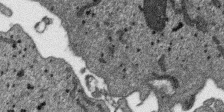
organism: Human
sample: Lung epithelial cells infected with SARS-CoV-2